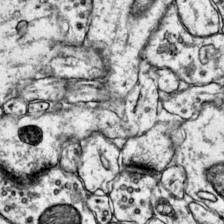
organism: Mouse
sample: Primary visual cortex